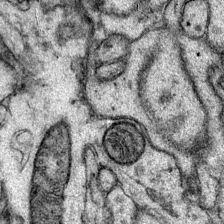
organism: Mouse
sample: Primary visual cortex